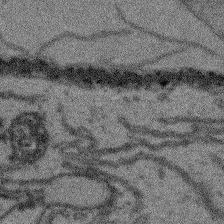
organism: Arabidopsis thaliana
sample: Root tip